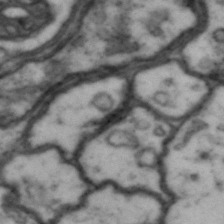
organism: Drosophila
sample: Brain